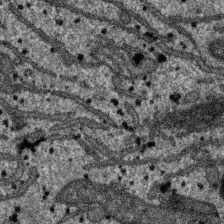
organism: Human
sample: Lung epithelial cells infected with SARS-CoV-2